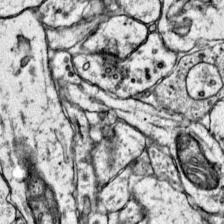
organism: Mouse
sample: Primary visual cortex